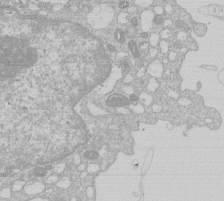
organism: Human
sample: Macrophage cells